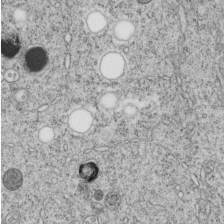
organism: C. elegans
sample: C. elegans embryo early stage